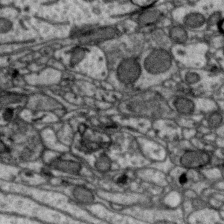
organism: Zebra finch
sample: Brain